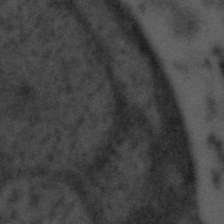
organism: Tuwongella immobilis